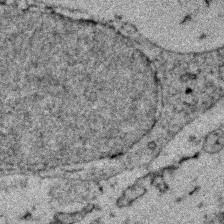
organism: Zebrafish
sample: Zebrafish embryo